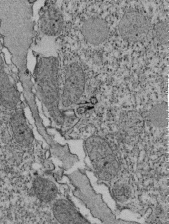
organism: Tetrahymena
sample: Cilia in tetrahymena